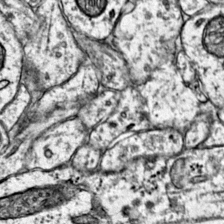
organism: Mouse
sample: Primary visual cortex